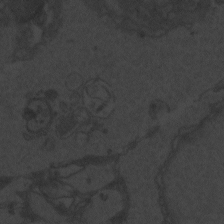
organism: Zebrafish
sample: Macrophage infected with Toxoplasma gondii